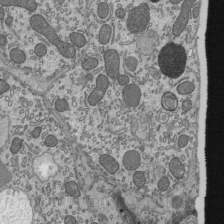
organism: Mouse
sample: Mouse epididymis efferent ductule cilia